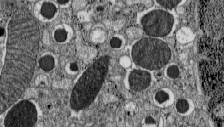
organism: C57BL Mouse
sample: Pancreatic islet